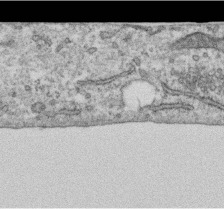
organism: Human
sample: Centriole in RPE cells